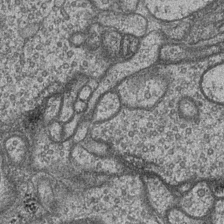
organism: Drosophila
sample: Optic medulla